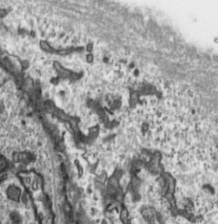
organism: Toxoplasma gondii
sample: Parasites in a vacuole inside a host cell